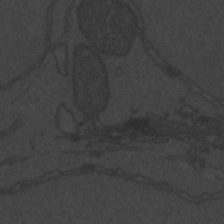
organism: Zebrafish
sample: Macrophage infected with Toxoplasma gondii